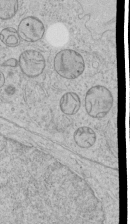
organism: Human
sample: Mitochondria in HCT116 cells